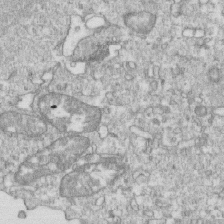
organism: Mouse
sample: Activated OT-1 CD8+ T cells